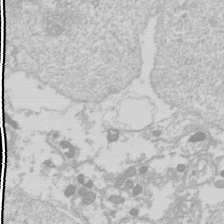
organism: Drosophila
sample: Cell division; meiosis; drosophila spermatocytes